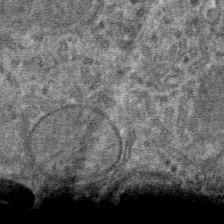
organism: Mouse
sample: Mouse hepatocytes